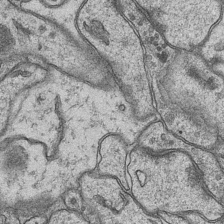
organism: Mouse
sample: CA1 Hippocampus